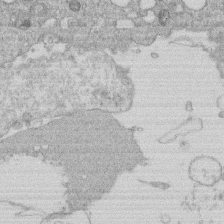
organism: Human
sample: Macrophage cells